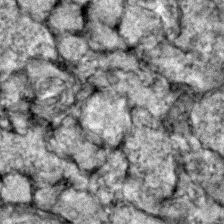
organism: Zebrafish